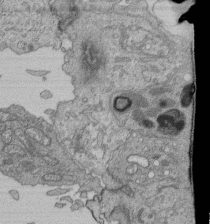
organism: Human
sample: Retinal organoid Rod and Cone cells